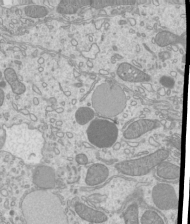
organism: Mouse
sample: Cilia; mouse epididymis